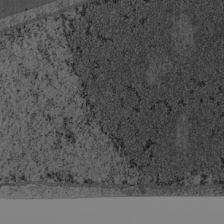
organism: African green monkey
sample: COS-7 cells